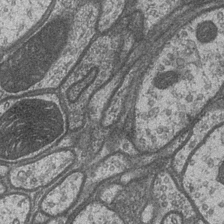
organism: Drosophila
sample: Optic medulla